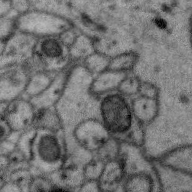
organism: Zebra finch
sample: Brain